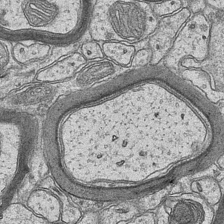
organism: Mouse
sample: CA1 Hippocampus